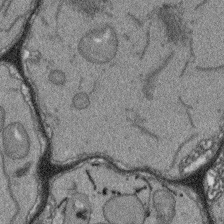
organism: Arabidopsis thaliana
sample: Root tip